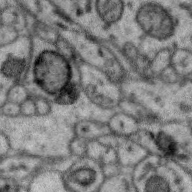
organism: Zebra finch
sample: Brain